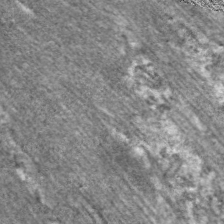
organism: C. elegans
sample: Pharynx